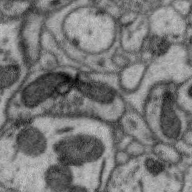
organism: Zebra finch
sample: Brain